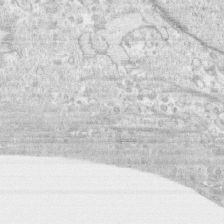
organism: Human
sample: CRL-1474